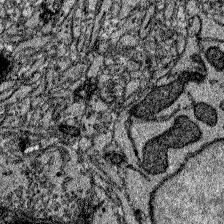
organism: Zebrafish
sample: Larval olfactory bulb